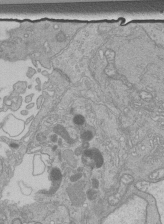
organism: Human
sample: Retinal organoid Rod and Cone cells